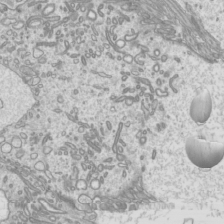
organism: Mouse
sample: Cilia; mouse epididymis